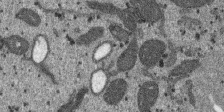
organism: Human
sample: Lung epithelial cells infected with SARS-CoV-2